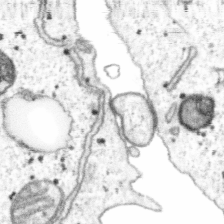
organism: Human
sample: HeLa cells